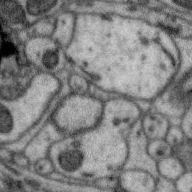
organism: Zebra finch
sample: Brain